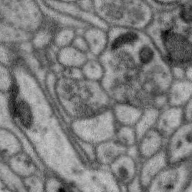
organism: Zebra finch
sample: Brain